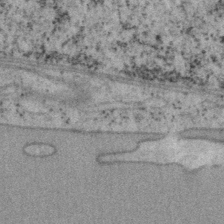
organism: Human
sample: HeLa cells